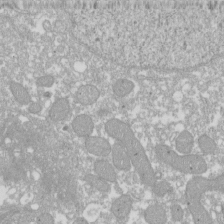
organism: Xenopus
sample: Cilia; centrioles in frog embryo cells